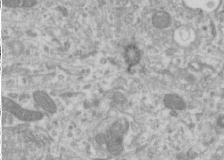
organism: Human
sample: Cilia; basal body in RPE cells